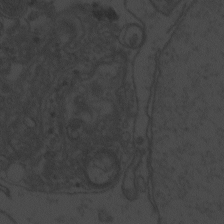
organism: Zebrafish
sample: Macrophage infected with Toxoplasma gondii